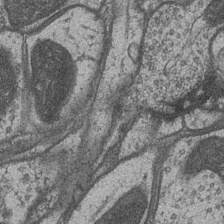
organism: Drosophila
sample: Optic medulla